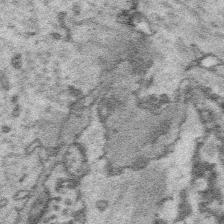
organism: Platynereis dumerilii